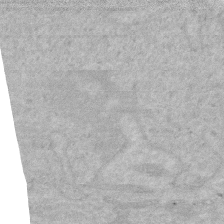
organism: Human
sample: HIV infected U937 cells